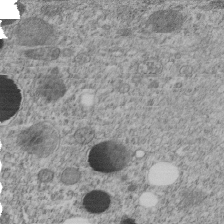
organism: C. elegans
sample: C. elegans embryo early stage